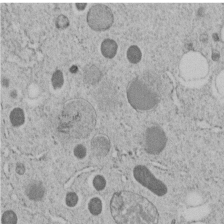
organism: C. elegans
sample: C. elegans embryo early stage